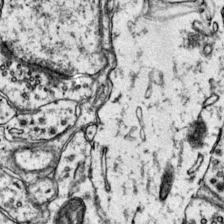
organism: Mouse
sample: Primary visual cortex